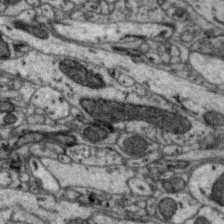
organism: Zebra finch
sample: Brain